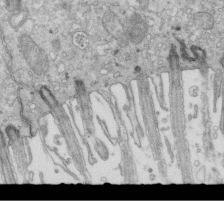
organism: Mouse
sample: Multiciliated cells